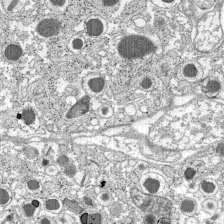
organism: C57BL Mouse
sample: Pancreatic islet